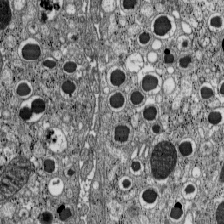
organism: C57BL Mouse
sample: Pancreatic islet